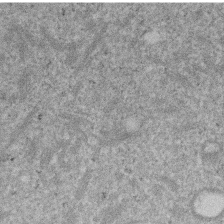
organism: Mouse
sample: Dividing mouse embryo 1 cell stage